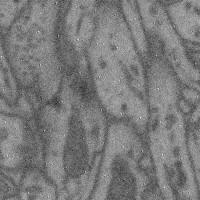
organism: Mouse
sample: Cerebral cortex